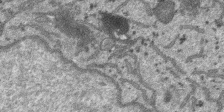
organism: Human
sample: Lung epithelial cells infected with SARS-CoV-2